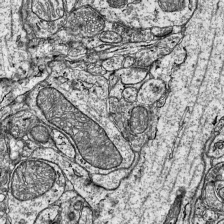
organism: Mouse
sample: Visual Cortex